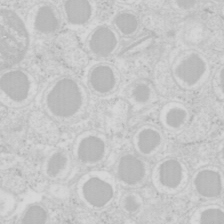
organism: Mouse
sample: Pancreas